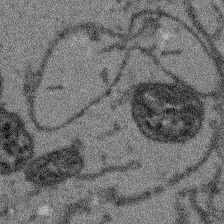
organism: Arabidopsis thaliana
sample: Root tip